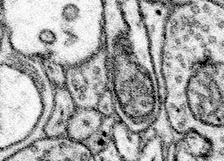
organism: Mouse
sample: Somatosensory cortex neuropil